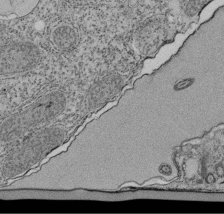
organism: Tetrahymena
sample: Cilia in tetrahymena